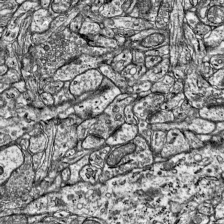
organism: Mouse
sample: Visual Cortex